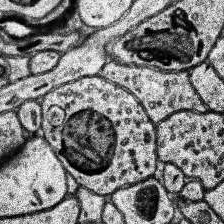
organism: Human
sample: Temporal Lobe